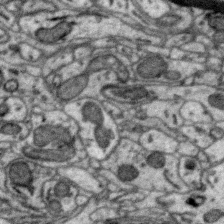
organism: Zebra finch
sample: Brain